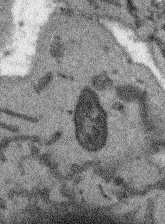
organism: Arabidopsis thaliana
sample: Root tip